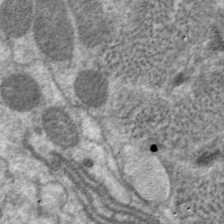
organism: C. elegans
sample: Pharynx